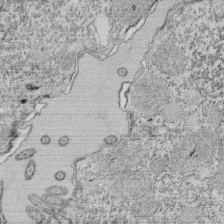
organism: Tetrahymena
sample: Cilia in tetrahymena